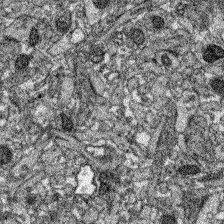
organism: Zebrafish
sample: Larval olfactory bulb